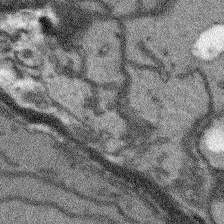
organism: Arabidopsis thaliana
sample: Root tip